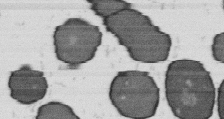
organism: B. subtilis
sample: Bacterial spore